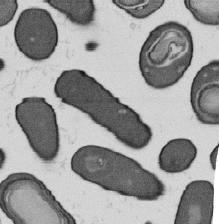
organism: B. subtilis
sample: Bacterial spore